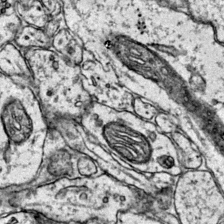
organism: Mouse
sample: Primary visual cortex